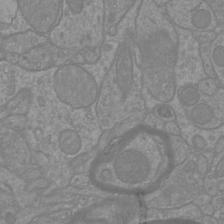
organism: Mouse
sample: Cortical neurons